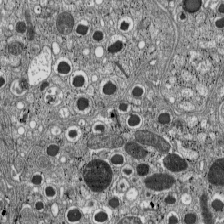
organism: C57BL Mouse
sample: Pancreatic islet